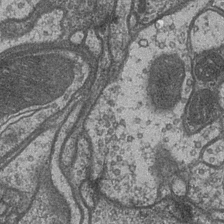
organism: Drosophila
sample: Optic medulla